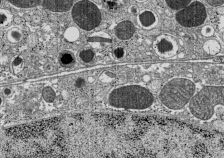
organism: C57BL Mouse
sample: Pancreatic islet